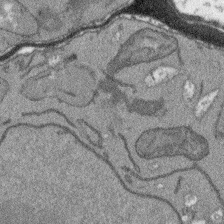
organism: Arabidopsis thaliana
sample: Root tip